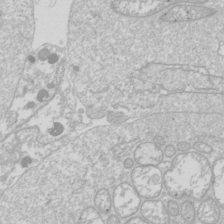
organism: Drosophila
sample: Cell division; meiosis; drosophila spermatocytes